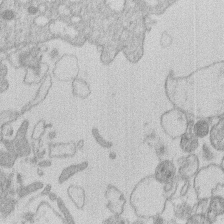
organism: Human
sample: Macrophage cells